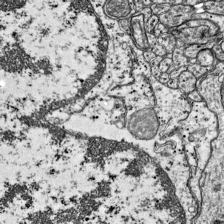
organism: Mouse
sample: Visual Cortex